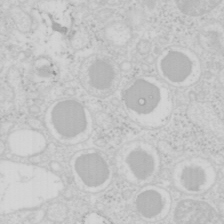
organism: Mouse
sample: Pancreas